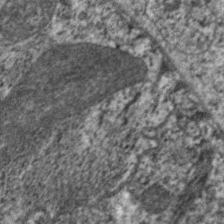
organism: C. elegans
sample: Pharynx